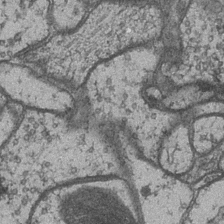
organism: Drosophila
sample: Optic medulla